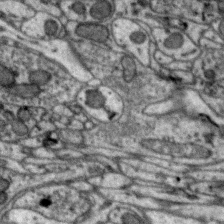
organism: Zebra finch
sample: Brain